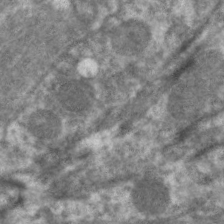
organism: C. elegans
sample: Pharynx